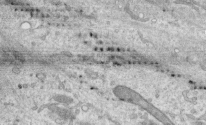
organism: Human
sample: Centriole in RPE cells